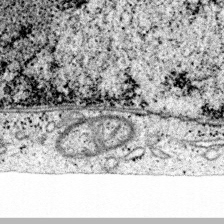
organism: Human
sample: HeLa cells